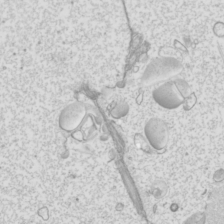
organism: Mouse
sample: Cilia; mouse epididymis